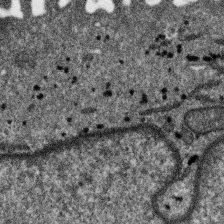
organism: Human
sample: Lung epithelial cells infected with SARS-CoV-2